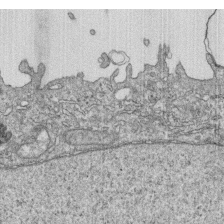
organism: Human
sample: HeLa cell HIV synapse